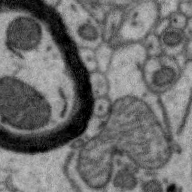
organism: Zebra finch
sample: Brain